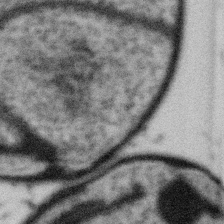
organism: Gemmata obscuriglobus